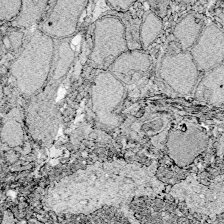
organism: Zebrafish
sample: Whole-Brain